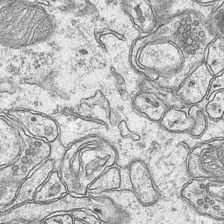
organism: Mouse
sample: CA1 Hippocampus